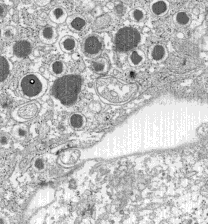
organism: C57BL Mouse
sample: Pancreatic islet